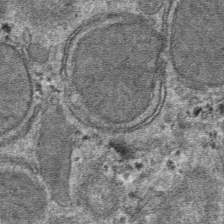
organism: Mouse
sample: Mouse hepatocytes